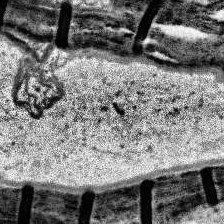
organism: Human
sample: Temporal Lobe